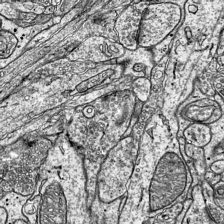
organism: Mouse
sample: Visual Cortex